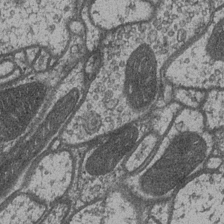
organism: Drosophila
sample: Optic medulla